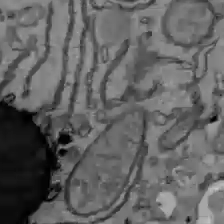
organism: C57BL Mouse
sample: Liver